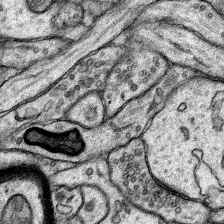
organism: Rat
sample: Hippocampus